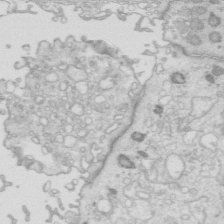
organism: Mouse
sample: Multiciliated cells